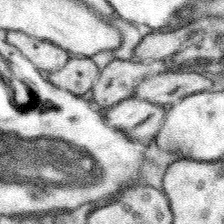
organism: Mouse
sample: Somatosensory cortex neuropil